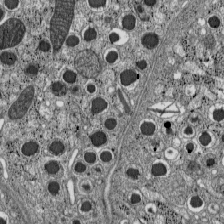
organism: C57BL Mouse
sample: Pancreatic islet